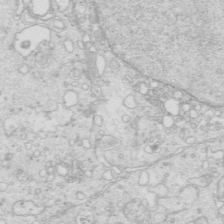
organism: Mouse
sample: Multiciliated cells